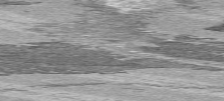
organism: C57BL Mouse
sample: Heart